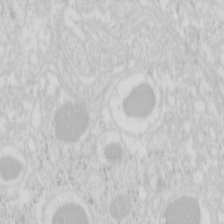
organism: Mouse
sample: Pancreas